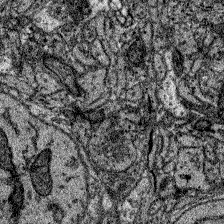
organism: Zebrafish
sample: Larval olfactory bulb